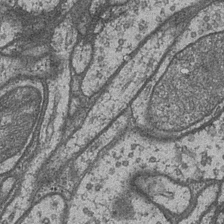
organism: Drosophila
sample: Optic medulla